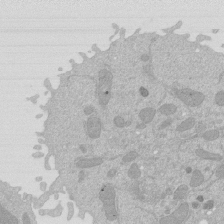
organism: Mouse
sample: Activated Pmel transgenic CD8+ T Cells